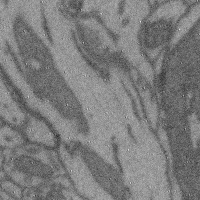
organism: Mouse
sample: Cerebral cortex